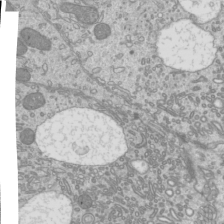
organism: Mouse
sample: Cilia; mouse epididymis